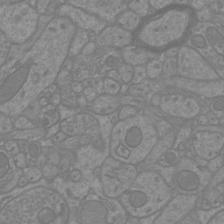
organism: Mouse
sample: Cortical neurons